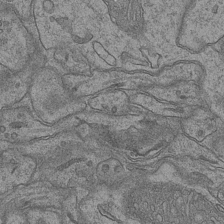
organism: Mouse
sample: CA1 Hippocampus